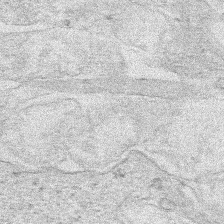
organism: Human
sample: Mitochondria in HCT116 cells